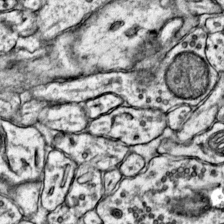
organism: Mouse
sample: Primary visual cortex